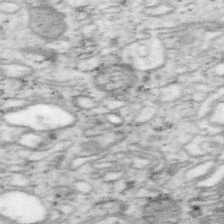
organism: Mouse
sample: OT-I killer T cells with ID8 ovarian cancer cells